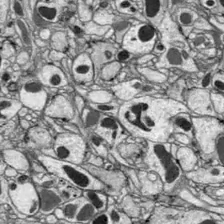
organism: Drosophila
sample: Optic lobe